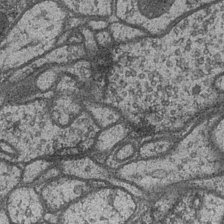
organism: Drosophila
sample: Optic medulla